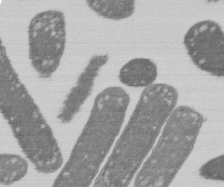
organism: E. coli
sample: Bacterial nucleoid